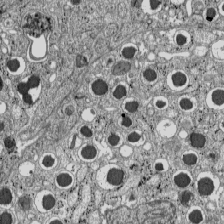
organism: C57BL Mouse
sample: Pancreatic islet